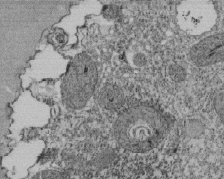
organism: Tetrahymena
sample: Cilia in tetrahymena